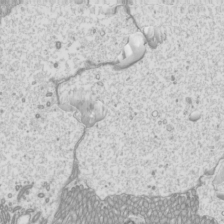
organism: Mouse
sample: Cilia; mouse epididymis